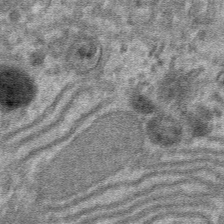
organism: Mouse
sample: Mouse hepatocytes